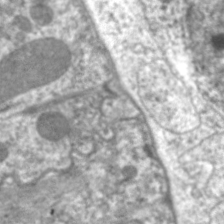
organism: C. elegans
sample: Pharynx